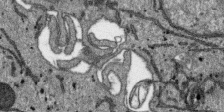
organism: Human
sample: Lung epithelial cells, uninfected (mock) control